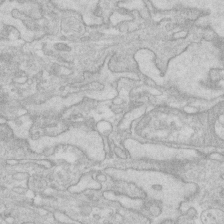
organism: Human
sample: Fibroblast cells